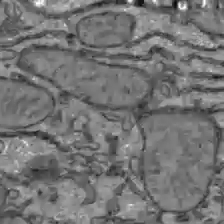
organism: C57BL Mouse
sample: Liver